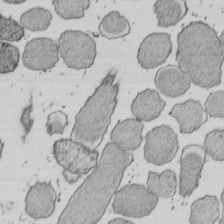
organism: E. coli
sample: Bacterial nucleoid